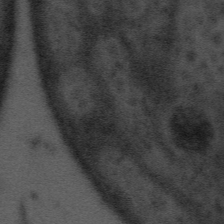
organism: Tuwongella immobilis